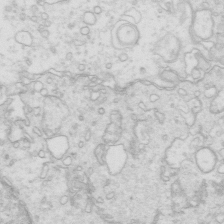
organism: Mouse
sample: Multiciliated cells